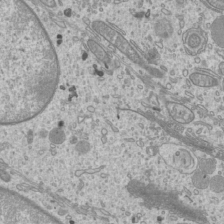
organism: Mouse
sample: Cilia; mouse epididymis